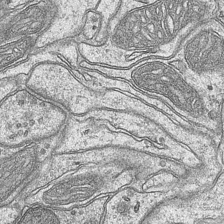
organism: Mouse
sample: CA1 Hippocampus